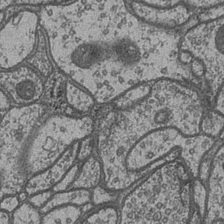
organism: Drosophila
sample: Optic medulla